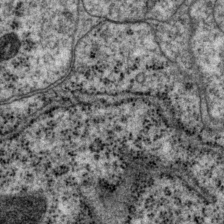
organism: P. pacificus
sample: Pharynx